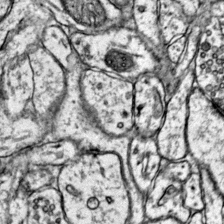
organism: Mouse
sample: Primary visual cortex